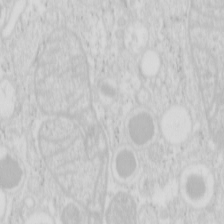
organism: Mouse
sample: Pancreas